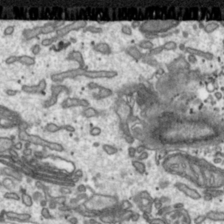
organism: Toxoplasma gondii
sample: Parasites in a vacuole inside a host cell